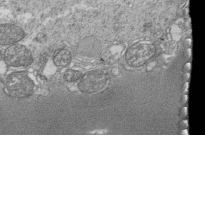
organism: Tetrahymena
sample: Cilia in tetrahymena